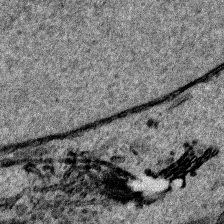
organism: Human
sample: Mitochondria in HCT116 cells